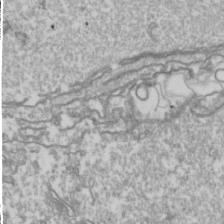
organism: Drosophila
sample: Cell division; meiosis; drosophila spermatocytes